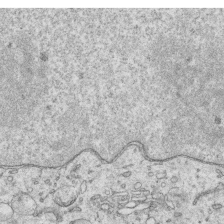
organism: Human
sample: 1205lu cells